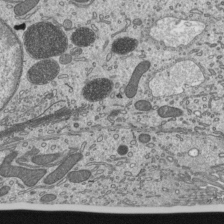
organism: Mouse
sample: Mouse epididymis efferent ductule cilia